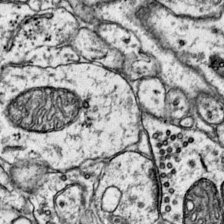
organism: Mouse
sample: Primary visual cortex